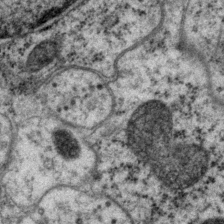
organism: P. pacificus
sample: Pharynx